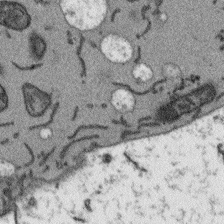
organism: Arabidopsis thaliana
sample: Root tip